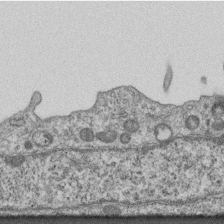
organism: Mouse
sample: Centriole in ependymal cells